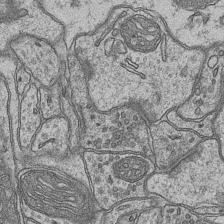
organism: Mouse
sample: CA1 Hippocampus